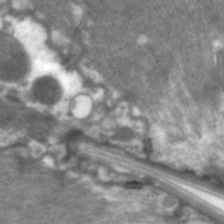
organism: C. elegans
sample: Pharynx